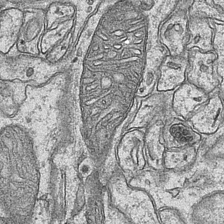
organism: Mouse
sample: CA1 Hippocampus